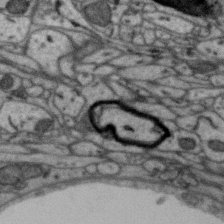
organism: Zebra finch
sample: Brain